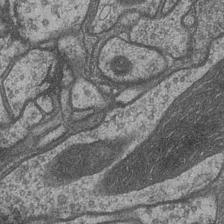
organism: Drosophila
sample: Optic medulla